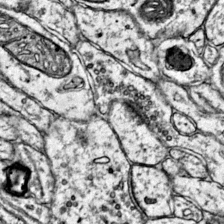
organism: Mouse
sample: Primary visual cortex